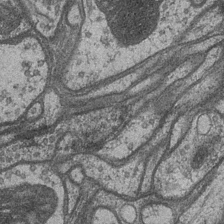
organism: Drosophila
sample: Optic medulla